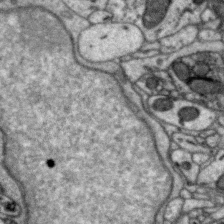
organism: Zebra finch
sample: Brain